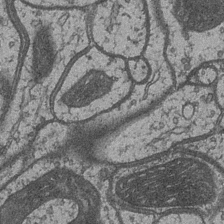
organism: Drosophila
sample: Optic medulla